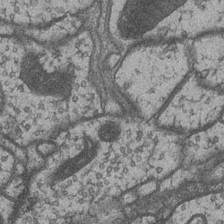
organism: Drosophila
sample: Optic medulla